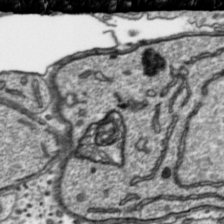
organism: Toxoplasma gondii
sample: Parasites in a vacuole inside a host cell